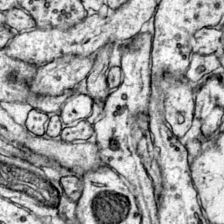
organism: Mouse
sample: Primary visual cortex